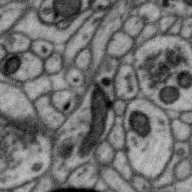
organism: Zebra finch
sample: Brain